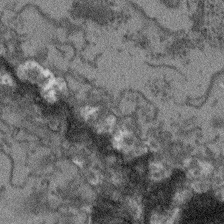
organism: Arabidopsis thaliana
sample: Root tip